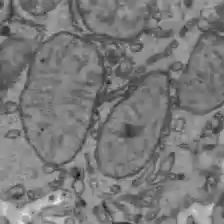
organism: C57BL Mouse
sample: Liver